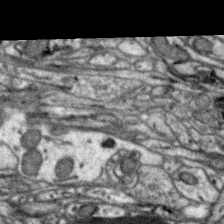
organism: Zebra finch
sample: Brain